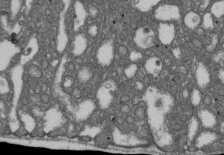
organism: Drosophila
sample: Nephrocyte